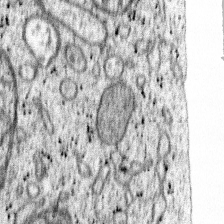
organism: Human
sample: HeLa cells